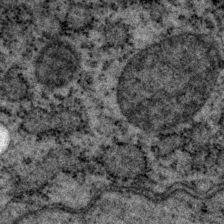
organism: P. pacificus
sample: Pharynx